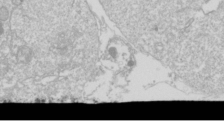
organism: Drosophila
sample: Cell division; meiosis; drosophila spermatocytes